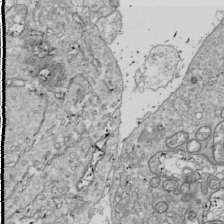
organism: Drosophila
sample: Cell division; meiosis; drosophila spermatocytes